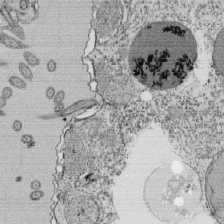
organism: Tetrahymena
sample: Cilia in tetrahymena